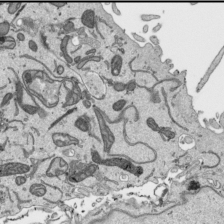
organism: Human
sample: Mitochondria in HCT116 cells